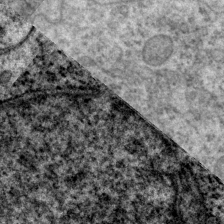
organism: P. pacificus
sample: Pharynx